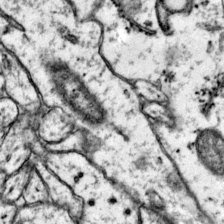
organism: Mouse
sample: Primary visual cortex